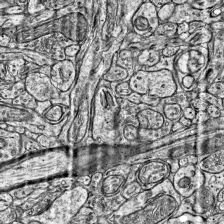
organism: Mouse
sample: Visual Cortex